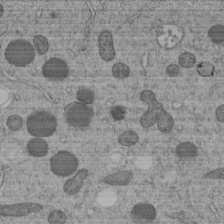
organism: C. elegans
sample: C. elegans embryo early stage